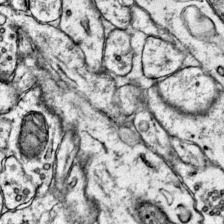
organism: Mouse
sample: Primary visual cortex